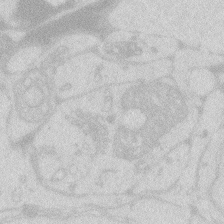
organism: Zebrafish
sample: Macrophage